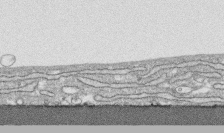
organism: Human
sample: CRL-1474